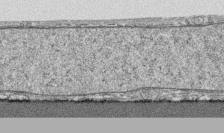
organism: Human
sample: CRL-1474